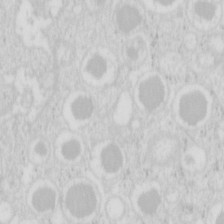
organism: Mouse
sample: Pancreas